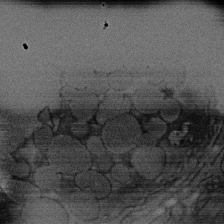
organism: Rat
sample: Salivary granule